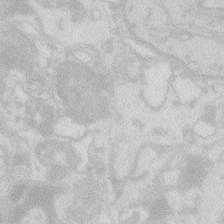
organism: Zebrafish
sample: Macrophage